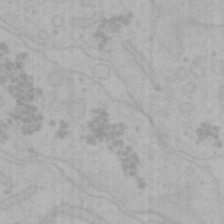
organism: Mouse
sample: Choroid plexus